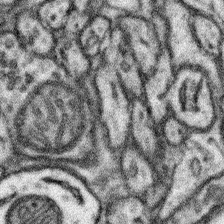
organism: Mouse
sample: Somatosensory cortex neuropil